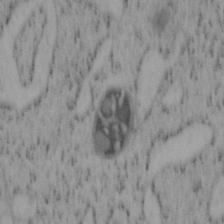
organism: Mouse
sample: OT-I killer T cells with ID8 ovarian cancer cells